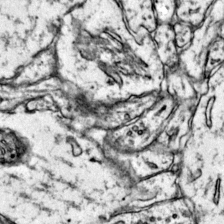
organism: Mouse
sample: Primary visual cortex